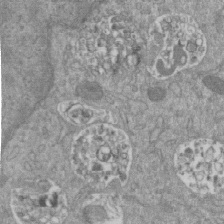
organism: Mouse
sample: ED-1 cell nuclei; centrioles